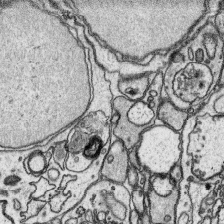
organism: Platynereis dumerilii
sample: Parapodia